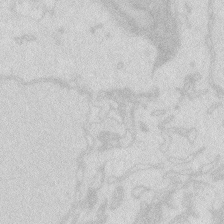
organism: Zebrafish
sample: Macrophage